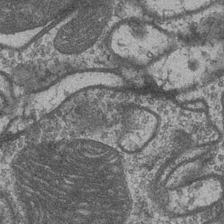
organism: Drosophila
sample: Optic medulla